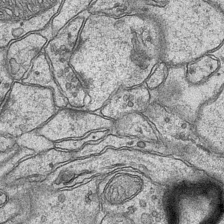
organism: Mouse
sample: CA1 Hippocampus